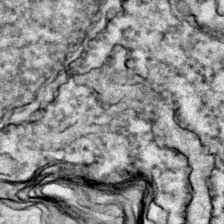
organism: Zebrafish